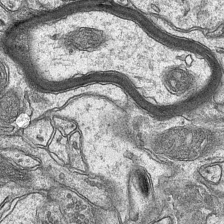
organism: Mouse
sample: CA1 Hippocampus